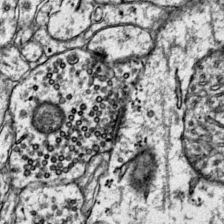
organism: Mouse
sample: Primary visual cortex